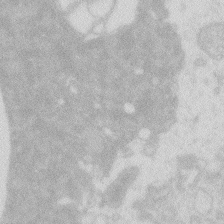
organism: Zebrafish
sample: Macrophage